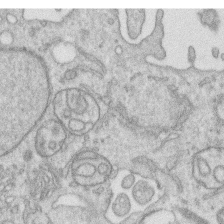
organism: Human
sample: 1205lu cells